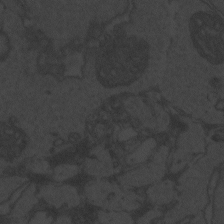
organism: Zebrafish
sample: Macrophage infected with Toxoplasma gondii